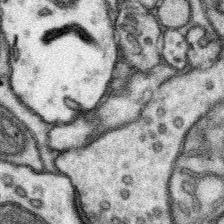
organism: Mouse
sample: Somatosensory cortex neuropil